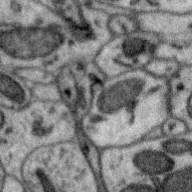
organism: Zebra finch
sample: Brain